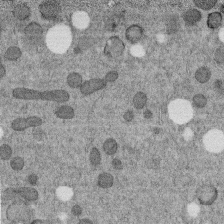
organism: C. elegans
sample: C. elegans embryo early stage